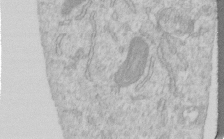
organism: Human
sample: Centriole in RPE cells